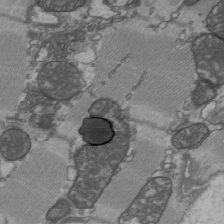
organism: C57BL Mouse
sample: Heart